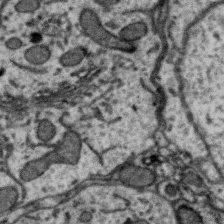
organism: Zebra finch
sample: Brain